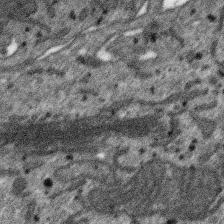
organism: Human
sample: Lung epithelial cells infected with SARS-CoV-2